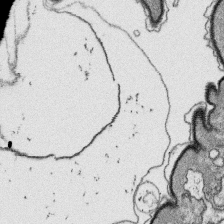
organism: Platynereis dumerilii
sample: Parapodia